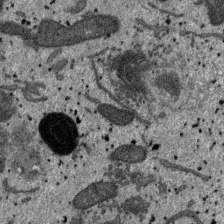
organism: Human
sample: Lung epithelial cells, uninfected (mock) control